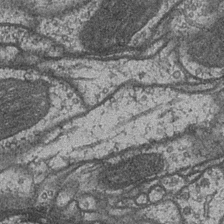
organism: Drosophila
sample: Optic medulla